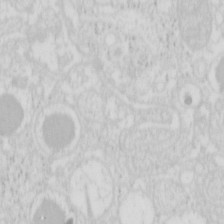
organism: Mouse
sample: Pancreas